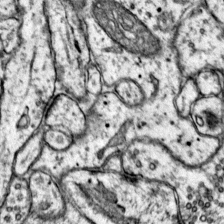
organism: Mouse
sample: Primary visual cortex